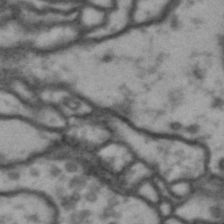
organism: Drosophila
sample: Brain